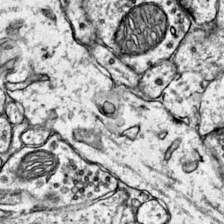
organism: Mouse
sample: Primary visual cortex